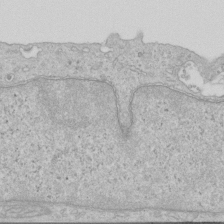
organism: Human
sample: Centriole in RPE cells